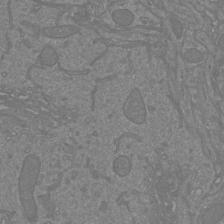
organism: Mouse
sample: Cortical neurons